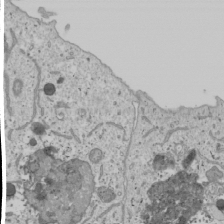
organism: Human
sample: Mitochondria in U2OS cells